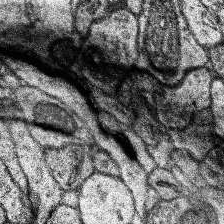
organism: Human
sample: Temporal Lobe